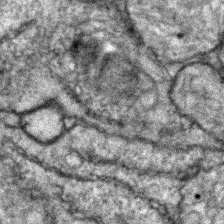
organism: Zebrafish